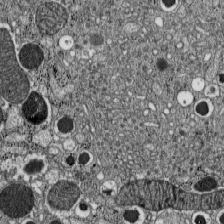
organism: C57BL Mouse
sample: Pancreatic islet